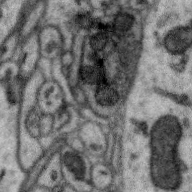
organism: Zebra finch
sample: Brain